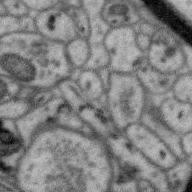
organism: Zebra finch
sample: Brain